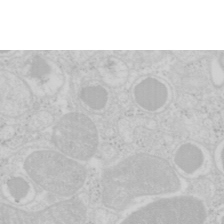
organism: Mouse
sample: Pancreas